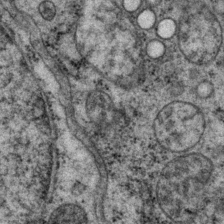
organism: P. pacificus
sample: Pharynx